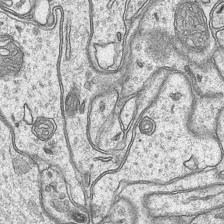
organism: Mouse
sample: CA1 Hippocampus